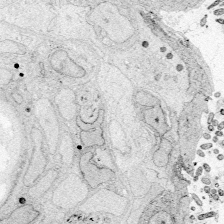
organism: Zebrafish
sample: Whole-Brain